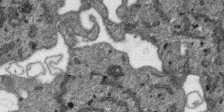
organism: Human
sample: Lung epithelial cells infected with SARS-CoV-2